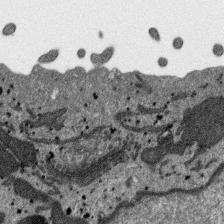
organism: Human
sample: Lung epithelial cells, uninfected (mock) control